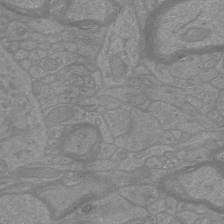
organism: Mouse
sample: Cortical neurons